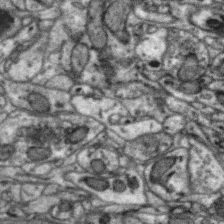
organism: Zebra finch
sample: Brain